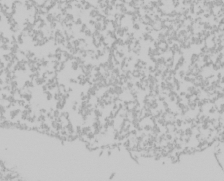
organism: Mouse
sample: Cancer cell death in ED-1 cells